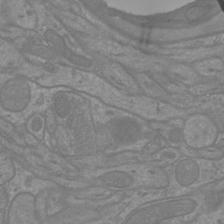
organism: Mouse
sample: Cortical neurons